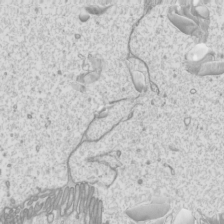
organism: Mouse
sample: Cilia; mouse epididymis